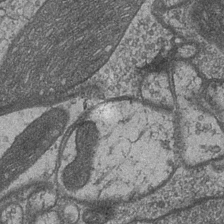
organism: Drosophila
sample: Optic medulla